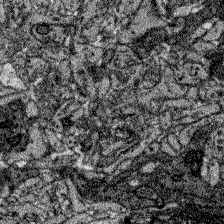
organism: Zebrafish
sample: Larval olfactory bulb